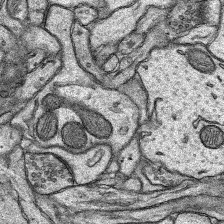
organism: Rat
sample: Hippocampus